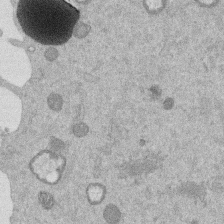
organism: Mouse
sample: Dividing mouse embryo 1 cell stage